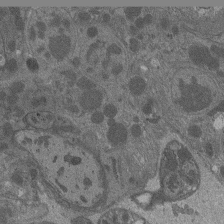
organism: Drosophila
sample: Antenna